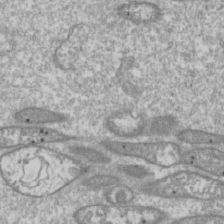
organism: Drosophila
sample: Cell division; meiosis; drosophila spermatocytes